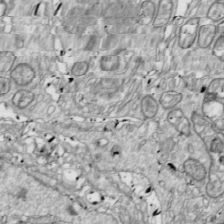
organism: Drosophila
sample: Cell division; meiosis; drosophila spermatocytes